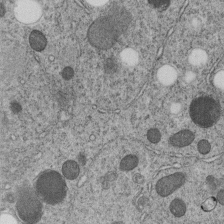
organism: C. elegans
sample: C. elegans embryo early stage